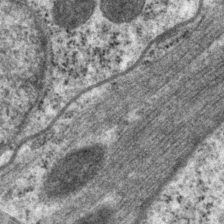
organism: P. pacificus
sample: Pharynx